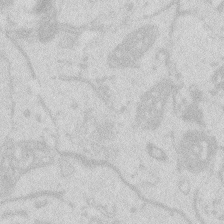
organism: Zebrafish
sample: Macrophage